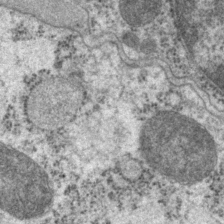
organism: P. pacificus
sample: Pharynx